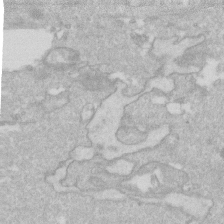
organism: Human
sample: Fibroblast cells